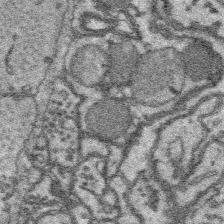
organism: Platynereis dumerilii